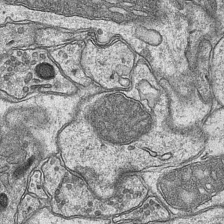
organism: Mouse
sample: CA1 Hippocampus